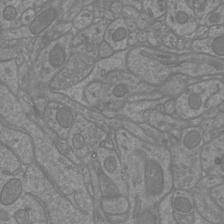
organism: Mouse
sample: Cortical neurons